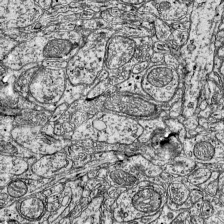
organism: Mouse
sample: Visual Cortex